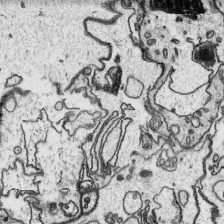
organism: Platynereis dumerilii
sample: Parapodia